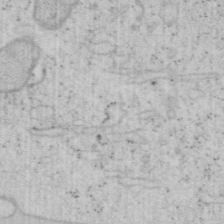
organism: Human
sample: HeLa cells